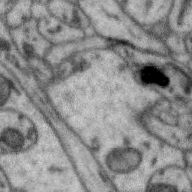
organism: Zebra finch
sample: Brain